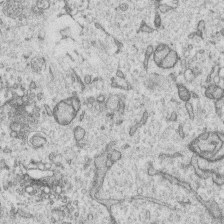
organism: Human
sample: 1205lu cells